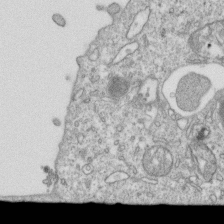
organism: Mouse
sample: Activated OT-1 CD8+ T cells